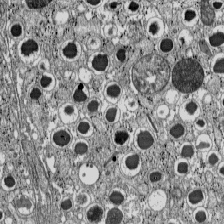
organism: C57BL Mouse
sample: Pancreatic islet